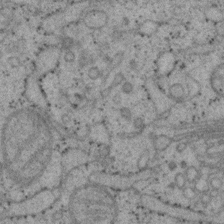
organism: Human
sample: HeLa cells